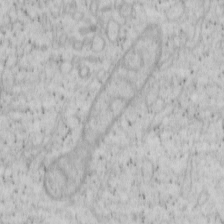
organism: Human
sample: HeLa cells